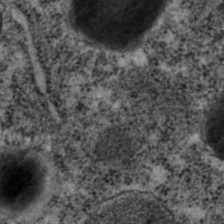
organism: C. elegans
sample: C. elegans embryo